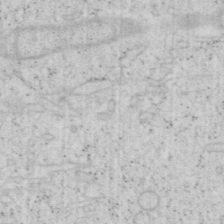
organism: Human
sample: HeLa cells